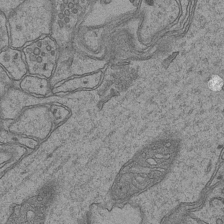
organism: Mouse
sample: CA1 Hippocampus